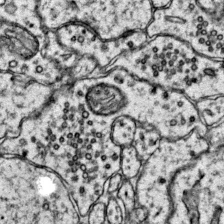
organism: Mouse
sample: Primary visual cortex